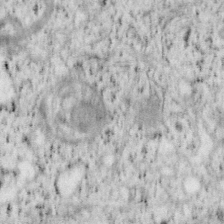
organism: Mouse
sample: OT-I killer T cells with ID8 ovarian cancer cells